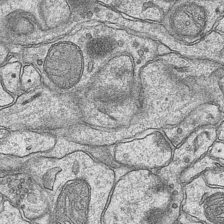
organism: Mouse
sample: CA1 Hippocampus